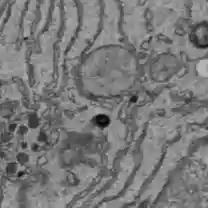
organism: C57BL Mouse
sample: Liver